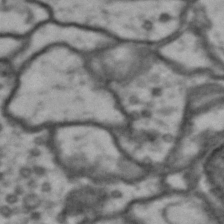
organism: Drosophila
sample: Brain